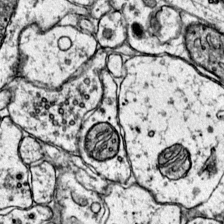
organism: Mouse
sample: Primary visual cortex